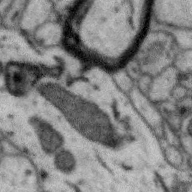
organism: Zebra finch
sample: Brain